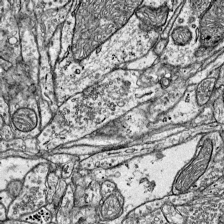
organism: Mouse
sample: Visual Cortex